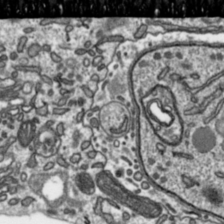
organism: Toxoplasma gondii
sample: Parasites in a vacuole inside a host cell